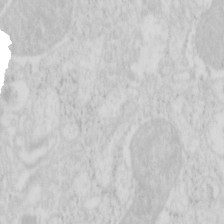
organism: Mouse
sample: Pancreas